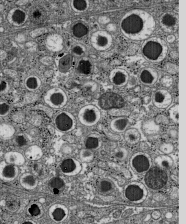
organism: C57BL Mouse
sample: Pancreatic islet